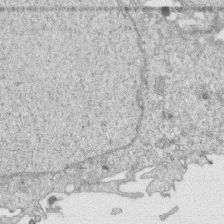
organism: Human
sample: HeLa cell HIV synapse